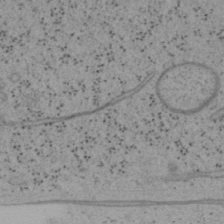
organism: Human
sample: HeLa cells